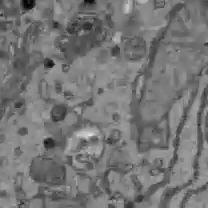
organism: C57BL Mouse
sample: Liver